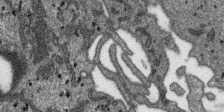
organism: Human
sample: Lung epithelial cells infected with SARS-CoV-2